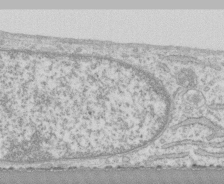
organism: Human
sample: CRL-1474